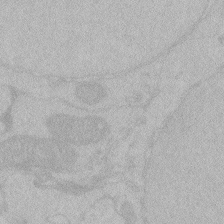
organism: Zebrafish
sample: Macrophage infected with Toxoplasma gondii